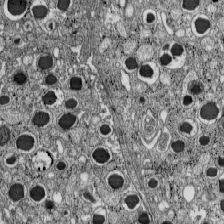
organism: C57BL Mouse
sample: Pancreatic islet